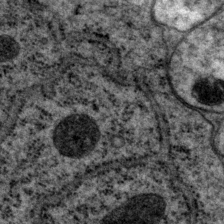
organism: P. pacificus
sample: Pharynx